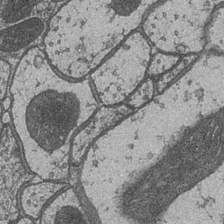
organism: Drosophila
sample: Optic medulla